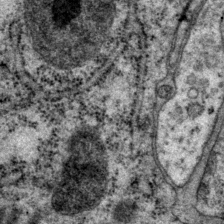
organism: P. pacificus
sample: Pharynx